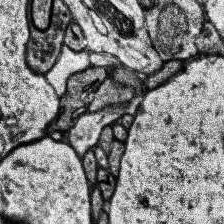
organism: Human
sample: Temporal Lobe